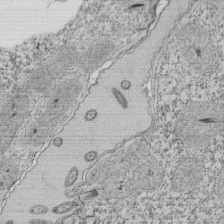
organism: Tetrahymena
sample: Cilia in tetrahymena